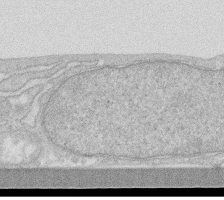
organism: Human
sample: Fibroblast cells